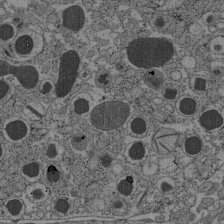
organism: C57BL Mouse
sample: Pancreatic islet